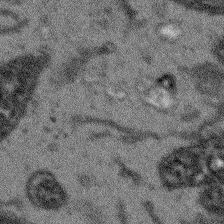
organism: Arabidopsis thaliana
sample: Root tip